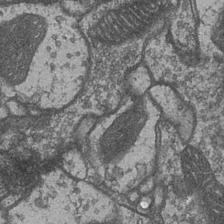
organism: Drosophila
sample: Optic medulla